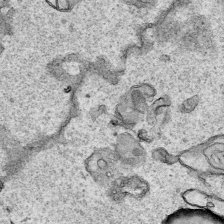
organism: Human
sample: Mitochondria in HCT116 cells